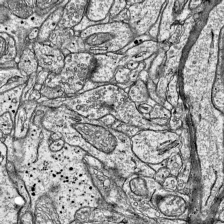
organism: Mouse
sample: Visual Cortex